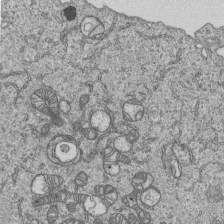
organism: Human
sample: MDA-MB-231 cells